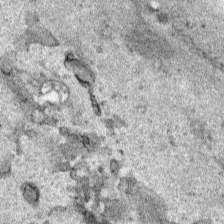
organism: Human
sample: Mitochondria in HCT116 cells